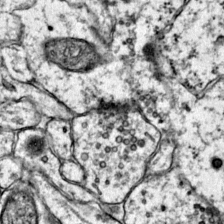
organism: Mouse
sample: Primary visual cortex